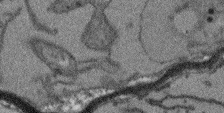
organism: Arabidopsis thaliana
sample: Root tip